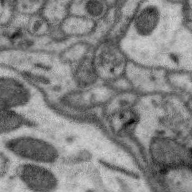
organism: Zebra finch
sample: Brain